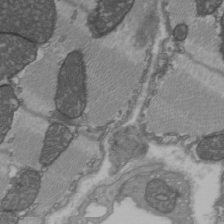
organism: C57BL Mouse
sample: Heart